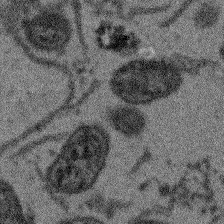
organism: Arabidopsis thaliana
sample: Root tip